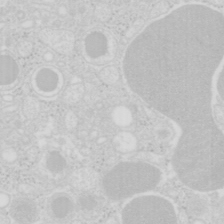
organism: Mouse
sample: Pancreas